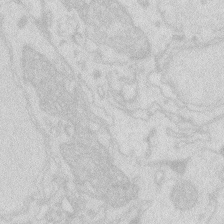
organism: Zebrafish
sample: Macrophage